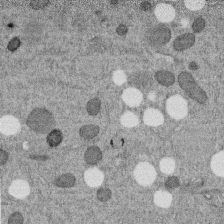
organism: C. elegans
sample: C. elegans embryo early stage